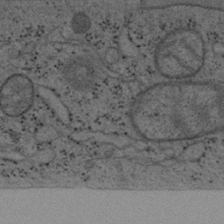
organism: Human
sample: HeLa cells